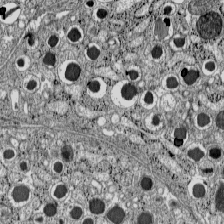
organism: C57BL Mouse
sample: Pancreatic islet